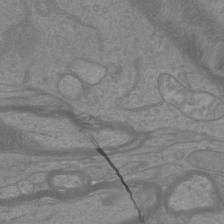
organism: Mouse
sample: Cortical neurons